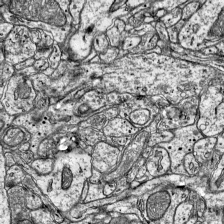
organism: Mouse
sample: Visual Cortex